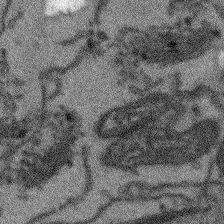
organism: Arabidopsis thaliana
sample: Root tip